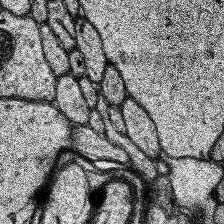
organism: Human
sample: Temporal Lobe